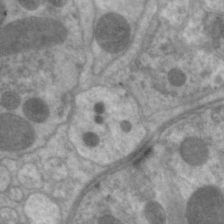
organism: C. elegans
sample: Pharynx